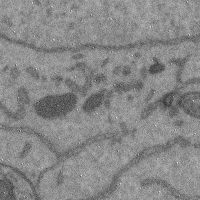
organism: Mouse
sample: Cerebral cortex